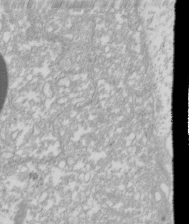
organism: Xenopus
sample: Cilia; centrioles in frog embryo cells